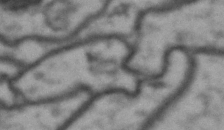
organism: Drosophila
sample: Brain